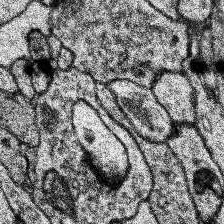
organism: Human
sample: Temporal Lobe